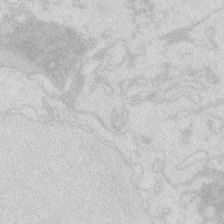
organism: Zebrafish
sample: Macrophage